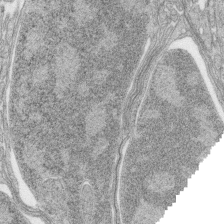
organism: Zebrafish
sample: synaptic ribbons in rod cells and cone cells